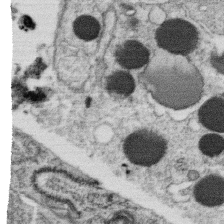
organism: C. elegans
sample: C. elegans oocyte; sperm cells